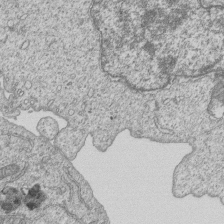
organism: Human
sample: MDA-MB-231 cells